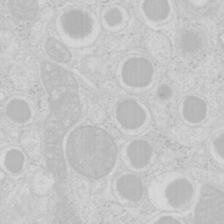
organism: Mouse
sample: Pancreas